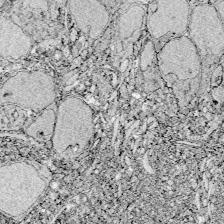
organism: Zebrafish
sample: Whole-Brain